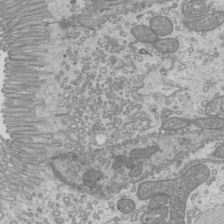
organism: Mouse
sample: Cilia; mouse epididymis